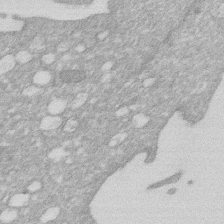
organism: Human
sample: HIV infected U937 cells